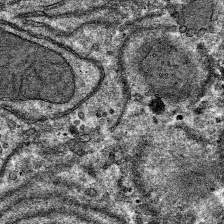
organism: Mouse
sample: Mouse hepatocytes